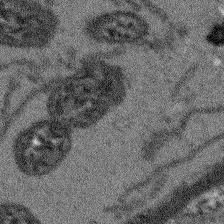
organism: Arabidopsis thaliana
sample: Root tip